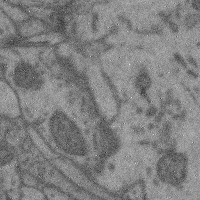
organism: Mouse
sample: Cerebral cortex